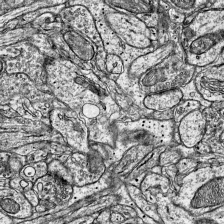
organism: Mouse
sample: Visual Cortex